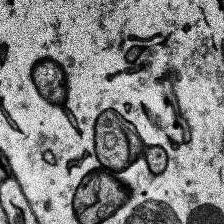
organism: Human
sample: Temporal Lobe